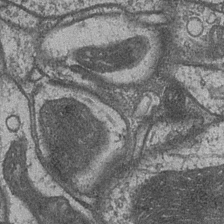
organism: Drosophila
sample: Optic medulla